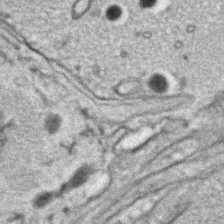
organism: C. elegans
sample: C. elegans embryo